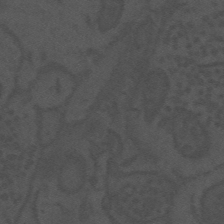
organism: Mouse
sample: Suprachiasmatic nucleus